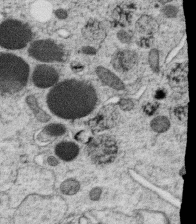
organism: C. elegans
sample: C. elegans oocyte; sperm cells